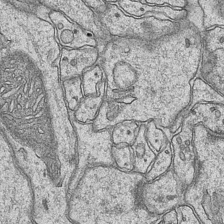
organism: Mouse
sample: CA1 Hippocampus